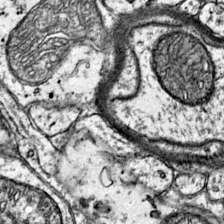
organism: Mouse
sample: Primary visual cortex